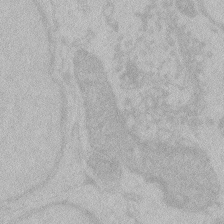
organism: Zebrafish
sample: Macrophage infected with Toxoplasma gondii